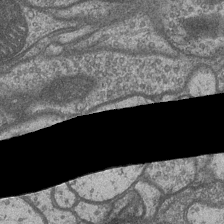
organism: Drosophila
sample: Optic medulla